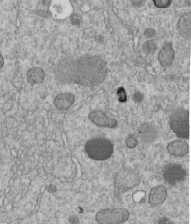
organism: C. elegans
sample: C. elegans embryo early stage